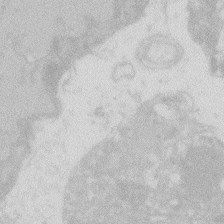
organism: Zebrafish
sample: Macrophage